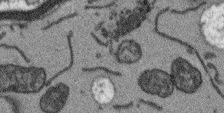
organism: Arabidopsis thaliana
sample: Root tip